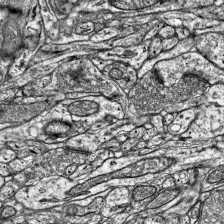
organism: Mouse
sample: Visual Cortex